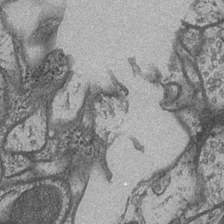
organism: Drosophila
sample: Optic medulla